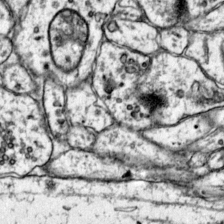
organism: Mouse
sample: Primary visual cortex